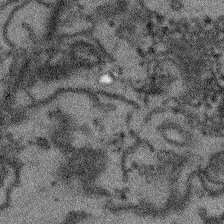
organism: Arabidopsis thaliana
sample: Root tip